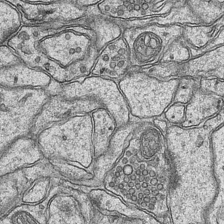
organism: Mouse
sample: CA1 Hippocampus